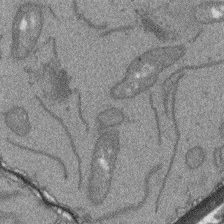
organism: Arabidopsis thaliana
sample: Root tip